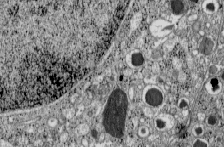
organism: C57BL Mouse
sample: Pancreatic islet